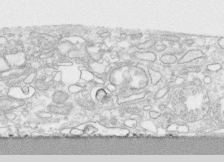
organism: Human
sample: CRL-1474